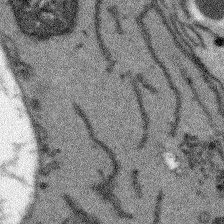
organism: Arabidopsis thaliana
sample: Root tip